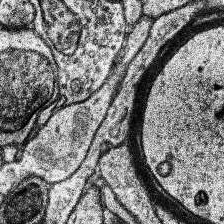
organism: Human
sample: Temporal Lobe